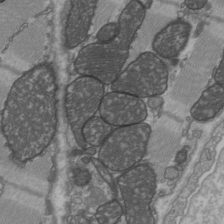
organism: C57BL Mouse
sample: Heart